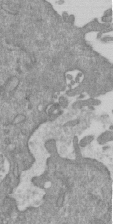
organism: Mouse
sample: ED-1 cell nuclei; centrioles